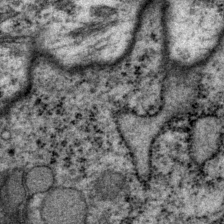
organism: P. pacificus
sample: Pharynx